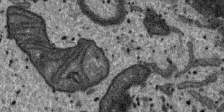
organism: Human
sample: Lung epithelial cells, uninfected (mock) control